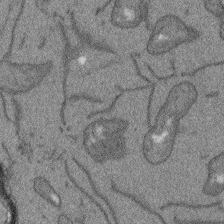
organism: Arabidopsis thaliana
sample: Root tip